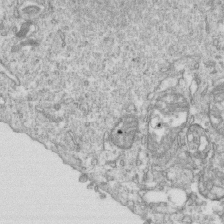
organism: Mouse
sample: Activated OT-1 CD8+ T cells